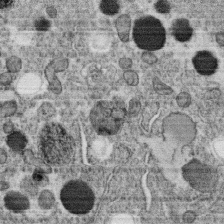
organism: C. elegans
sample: C. elegans oocyte; sperm cells